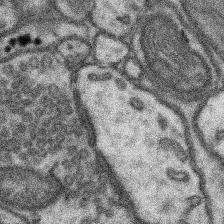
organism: Mouse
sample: Somatosensory cortex neuropil